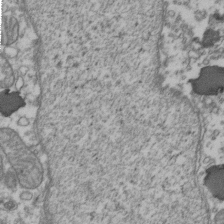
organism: Human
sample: Activated Jurkat CD4+ T cells